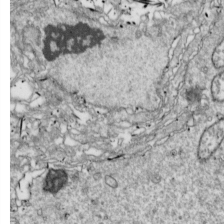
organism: Drosophila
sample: Cell division; meiosis; drosophila spermatocytes